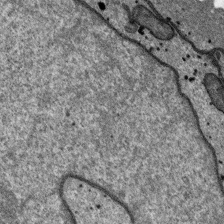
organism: Human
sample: Lung epithelial cells, uninfected (mock) control